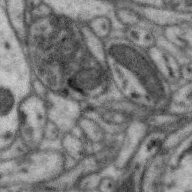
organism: Zebra finch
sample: Brain